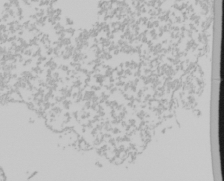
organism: Mouse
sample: Cancer cell death in ED-1 cells